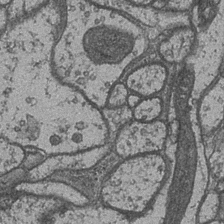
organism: Drosophila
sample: Optic medulla